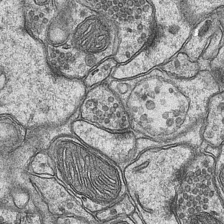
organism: Mouse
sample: CA1 Hippocampus